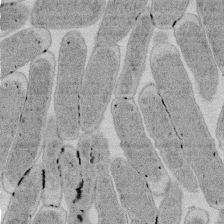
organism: E. coli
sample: Bacterial nucleoid